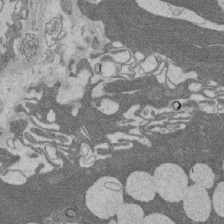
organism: Rat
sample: Salivary granule